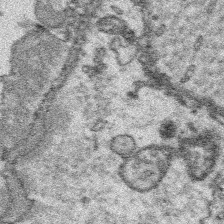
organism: Platynereis dumerilii